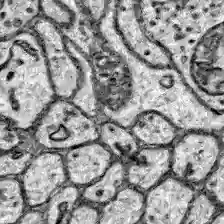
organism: Zebrafish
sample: Brain